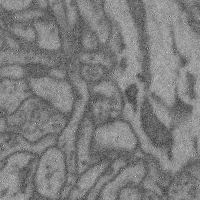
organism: Mouse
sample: Cerebral cortex